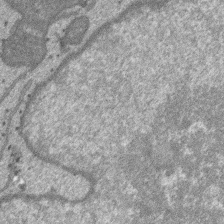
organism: Human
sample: Lung epithelial cells infected with SARS-CoV-2